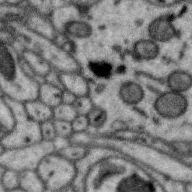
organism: Zebra finch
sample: Brain